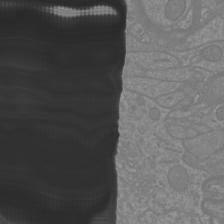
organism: Mouse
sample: Cortical neurons